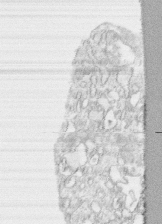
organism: Human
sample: CRL-1474